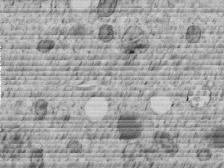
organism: C. elegans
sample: C. elegans embryo early stage